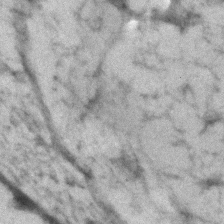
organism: Human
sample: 1205lu cells